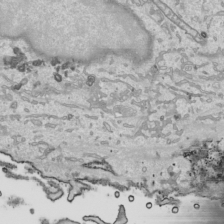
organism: Human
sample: Mitochondria in HCT116 cells